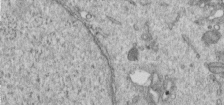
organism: Human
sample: Centriole in RPE cells